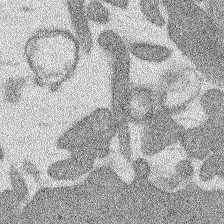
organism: Human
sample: HeLa cells